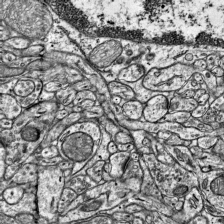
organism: Mouse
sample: Visual Cortex